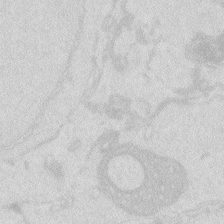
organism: Zebrafish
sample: Macrophage